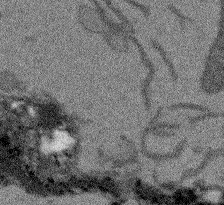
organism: Arabidopsis thaliana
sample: Root tip